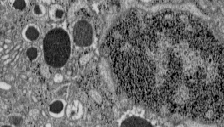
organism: C57BL Mouse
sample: Pancreatic islet